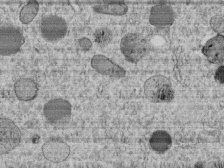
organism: C. elegans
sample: C. elegans embryo early stage